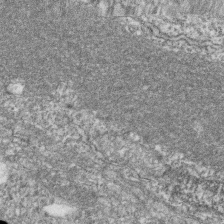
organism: Zebrafish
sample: Cilia; retinal pigment epithelium